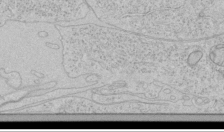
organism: Human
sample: Mitochondria in HCT116 cells